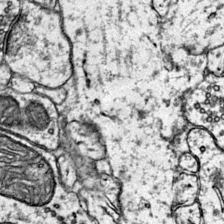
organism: Mouse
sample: Primary visual cortex